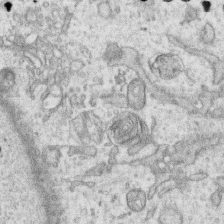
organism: Human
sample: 1205lu cells